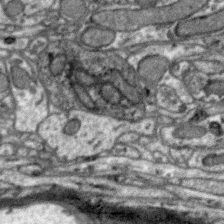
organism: Zebra finch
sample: Brain